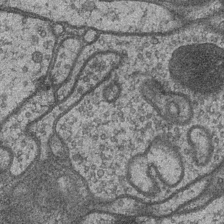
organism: Drosophila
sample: Optic medulla